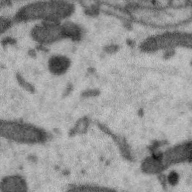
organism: Zebra finch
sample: Brain